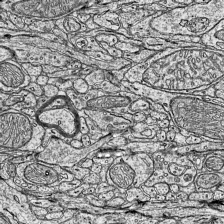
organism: Mouse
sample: Visual Cortex